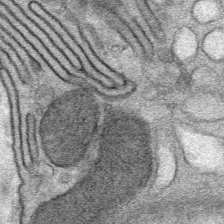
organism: Mouse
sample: Mouse Salivary gland